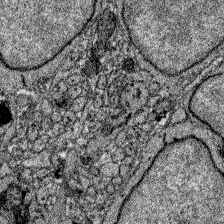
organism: Zebrafish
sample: Larval olfactory bulb